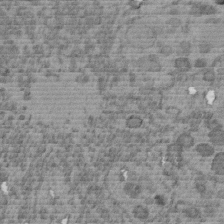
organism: C. elegans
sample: C. elegans embryo early stage